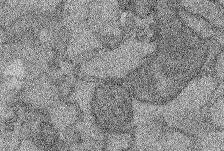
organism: Human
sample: HeLa cells